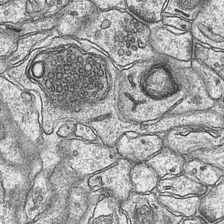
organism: Mouse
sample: CA1 Hippocampus